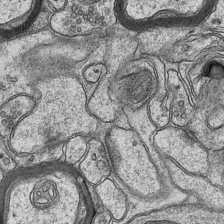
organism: Mouse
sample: CA1 Hippocampus